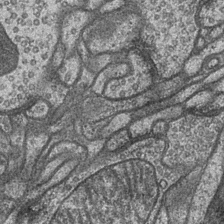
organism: Drosophila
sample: Optic medulla